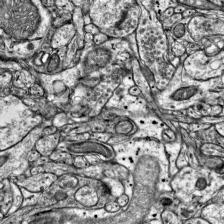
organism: Mouse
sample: Visual Cortex